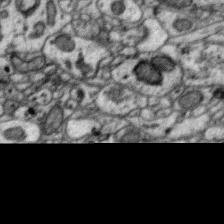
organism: Zebra finch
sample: Brain